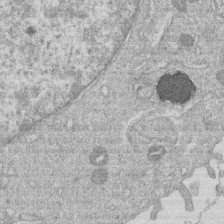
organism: Human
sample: Macrophage cells